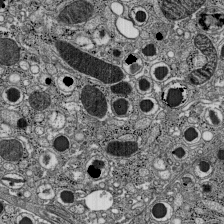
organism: C57BL Mouse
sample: Pancreatic islet